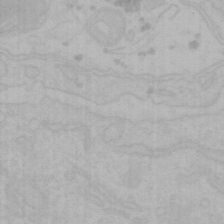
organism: Mouse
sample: Choroid plexus